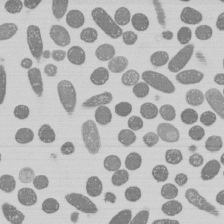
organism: E. coli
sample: Bacterial nucleoid